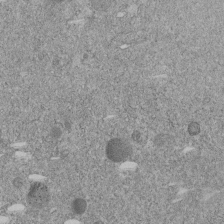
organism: C. elegans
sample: C. elegans embryo early stage